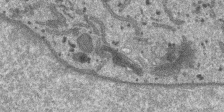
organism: Human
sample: Lung epithelial cells infected with SARS-CoV-2